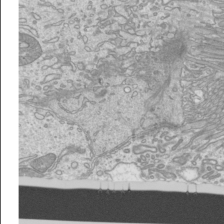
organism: Mouse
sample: Cilia; mouse epididymis